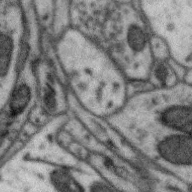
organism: Zebra finch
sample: Brain